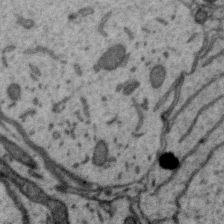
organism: Zebra finch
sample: Brain